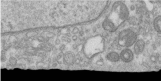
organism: Human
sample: Centriole in RPE cells